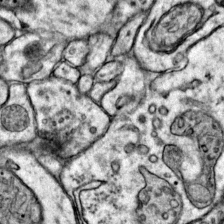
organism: Mouse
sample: Primary visual cortex